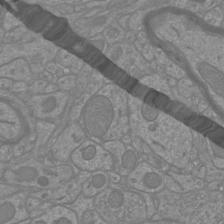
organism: Mouse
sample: Cortical neurons